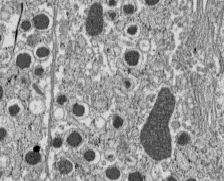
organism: C57BL Mouse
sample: Pancreatic islet